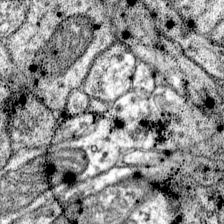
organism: Mouse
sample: Primary visual cortex